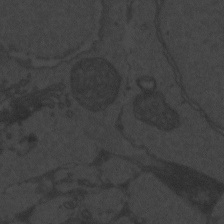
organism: Zebrafish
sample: Macrophage infected with Toxoplasma gondii